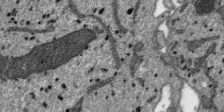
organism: Human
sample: Lung epithelial cells, uninfected (mock) control